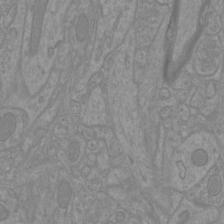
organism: Mouse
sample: Cortical neurons